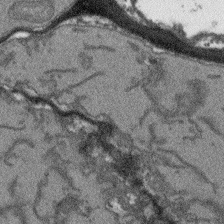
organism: Arabidopsis thaliana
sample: Root tip